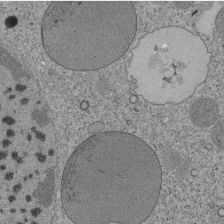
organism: Tetrahymena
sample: Cilia in tetrahymena